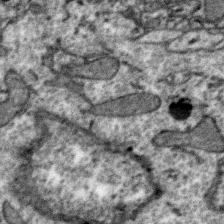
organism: Zebra finch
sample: Brain